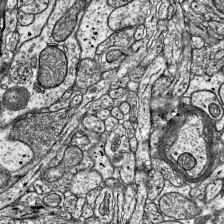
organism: Mouse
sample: Visual Cortex